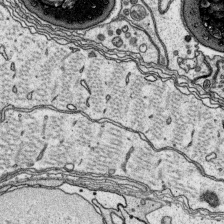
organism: Platynereis dumerilii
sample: Parapodia